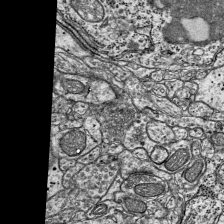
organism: Mouse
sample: Visual Cortex